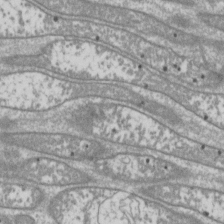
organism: Drosophila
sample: Cell division; meiosis; drosophila spermatocytes